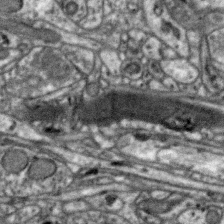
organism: Zebra finch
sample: Brain